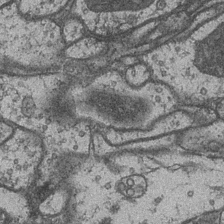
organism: Drosophila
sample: Optic medulla